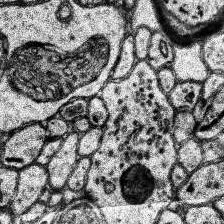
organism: Human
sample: Temporal Lobe